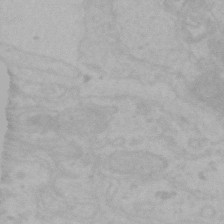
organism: Mouse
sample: Choroid plexus